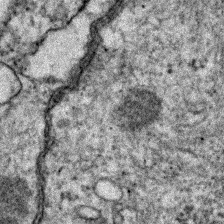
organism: Zebrafish